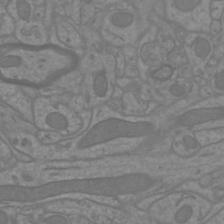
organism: Mouse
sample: Cortical neurons